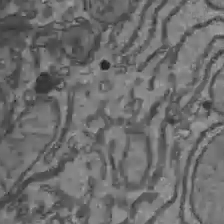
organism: C57BL Mouse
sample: Liver